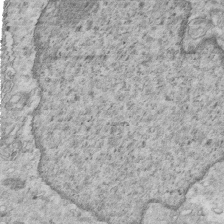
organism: Mouse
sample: Multiciliated cells